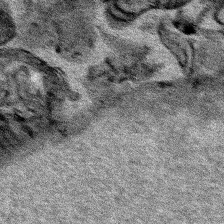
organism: Human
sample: Mitochondria in HCT116 cells